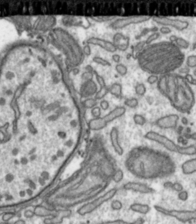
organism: Toxoplasma gondii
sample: Parasites in a vacuole inside a host cell